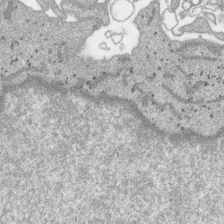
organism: Human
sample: Lung epithelial cells infected with SARS-CoV-2